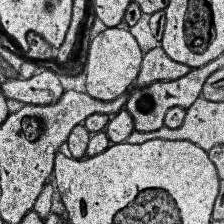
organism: Human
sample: Temporal Lobe